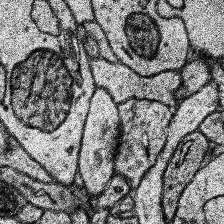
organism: Human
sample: Temporal Lobe